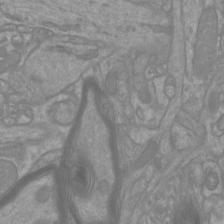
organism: Mouse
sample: Cortical neurons